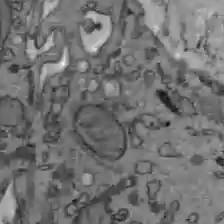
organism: C57BL Mouse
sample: Liver